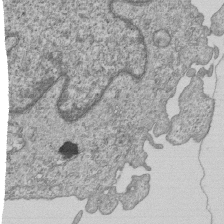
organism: Human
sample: MDA-MB-231 cells